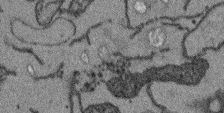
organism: Arabidopsis thaliana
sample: Root tip